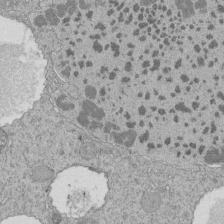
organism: Tetrahymena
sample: Cilia in tetrahymena